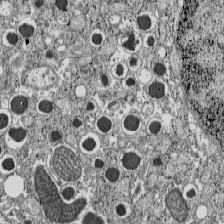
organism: C57BL Mouse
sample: Pancreatic islet